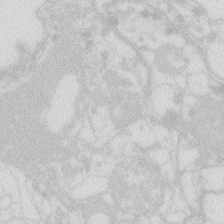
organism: Zebrafish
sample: Macrophage